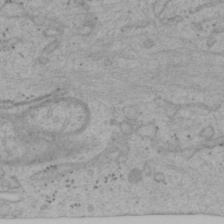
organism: Human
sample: HeLa cells